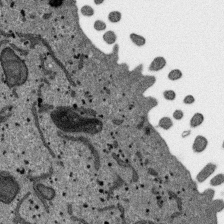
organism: Human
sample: Lung epithelial cells, uninfected (mock) control